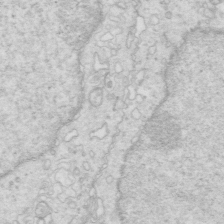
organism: Mouse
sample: Multiciliated cells